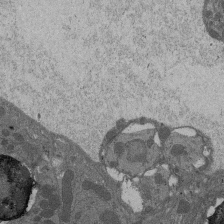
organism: Drosophila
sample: Antenna